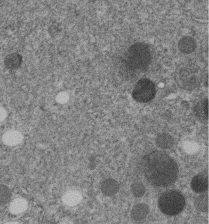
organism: C. elegans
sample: C. elegans embryo early stage